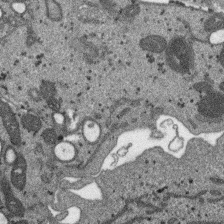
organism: Human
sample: Lung epithelial cells infected with SARS-CoV-2